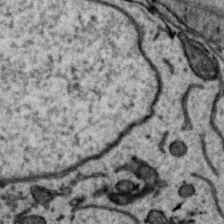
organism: Zebra finch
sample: Brain